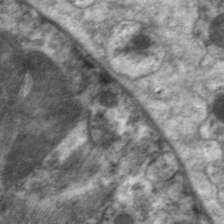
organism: C. elegans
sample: Pharynx